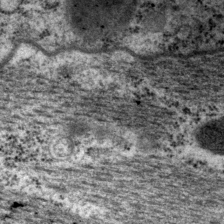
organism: P. pacificus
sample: Pharynx